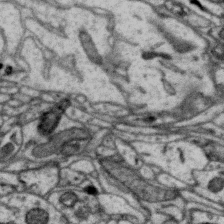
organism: Zebra finch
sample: Brain